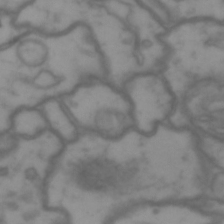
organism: Drosophila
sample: Brain